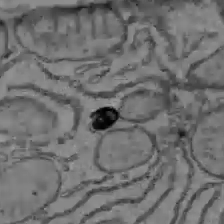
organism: C57BL Mouse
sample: Liver